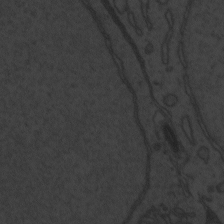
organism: Zebrafish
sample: Macrophage infected with Toxoplasma gondii